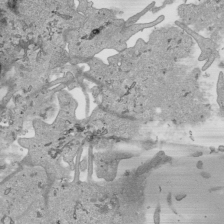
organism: Human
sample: Mitochondria in HCT116 cells